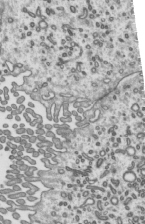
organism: Mouse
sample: Mouse epididymis efferent ductule cilia